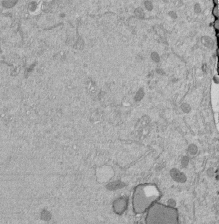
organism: Mouse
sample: ED-1 cell nuclei; centrioles